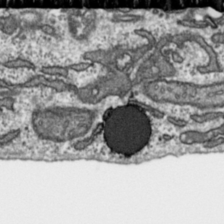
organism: Toxoplasma gondii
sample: Parasites in a vacuole inside a host cell